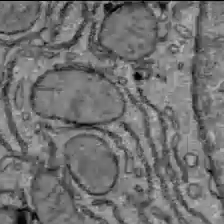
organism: C57BL Mouse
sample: Liver